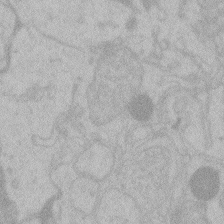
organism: Zebrafish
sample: Macrophage infected with Toxoplasma gondii